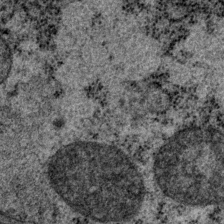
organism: P. pacificus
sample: Pharynx